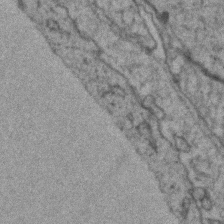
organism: Zebrafish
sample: Zebrafish embryo